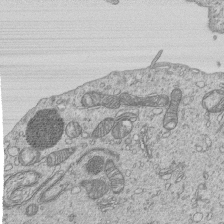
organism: Human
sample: MDA-MB-231 cells